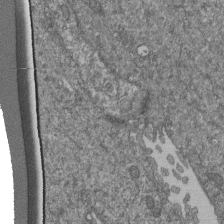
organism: Human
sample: Retinal organoid Rod and Cone cells